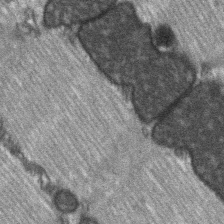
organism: C57BL Mouse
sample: Soleus